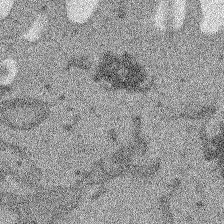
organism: Human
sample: HeLa cells